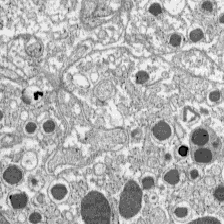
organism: C57BL Mouse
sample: Pancreatic islet